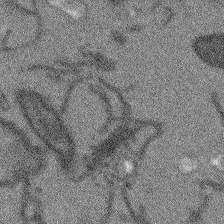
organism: Arabidopsis thaliana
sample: Root tip